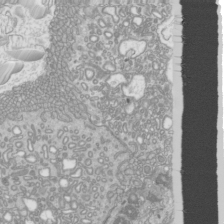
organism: Mouse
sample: Cilia; mouse epididymis